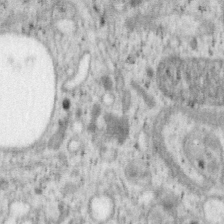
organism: Mouse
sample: OT-I killer T cells with ID8 ovarian cancer cells